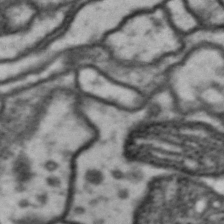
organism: Drosophila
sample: Brain